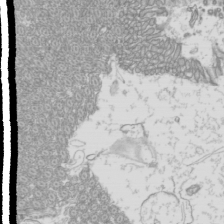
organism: Mouse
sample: Cilia; mouse epididymis